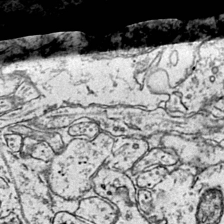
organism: Mouse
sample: Primary visual cortex